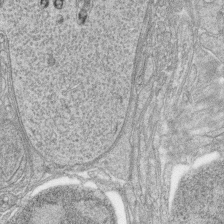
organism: Zebrafish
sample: synaptic ribbons in rod cells and cone cells